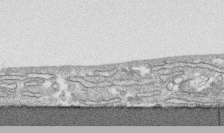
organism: Human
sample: CRL-1474